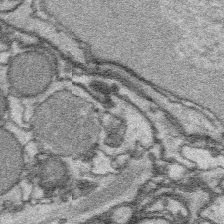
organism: Platynereis dumerilii